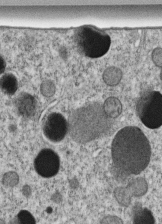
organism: C. elegans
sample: C. elegans embryo early stage